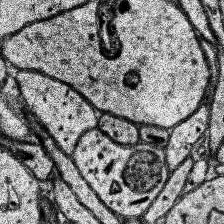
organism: Human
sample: Temporal Lobe